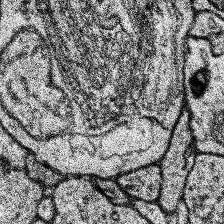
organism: Human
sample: Temporal Lobe